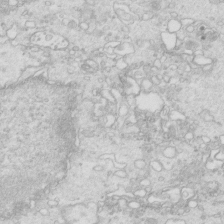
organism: Mouse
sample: Multiciliated cells